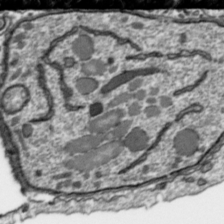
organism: Toxoplasma gondii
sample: Parasites in a vacuole inside a host cell